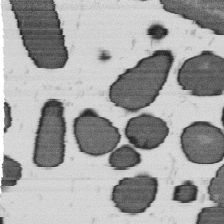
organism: B. subtilis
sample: Bacterial spore